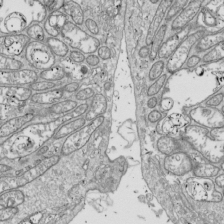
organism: Drosophila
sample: Cell division; meiosis; drosophila spermatocytes